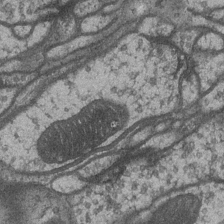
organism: Drosophila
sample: Optic medulla